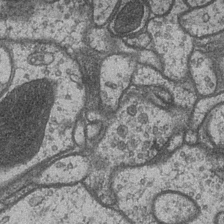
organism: Drosophila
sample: Optic medulla